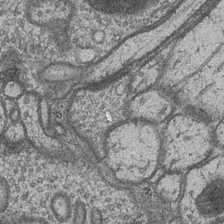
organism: Drosophila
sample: Optic medulla